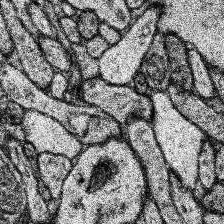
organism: Human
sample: Temporal Lobe